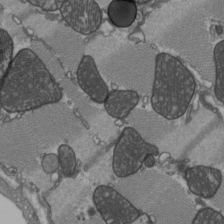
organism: C57BL Mouse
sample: Heart